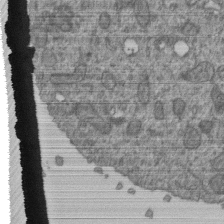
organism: Human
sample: Retinal organoid Rod and Cone cells